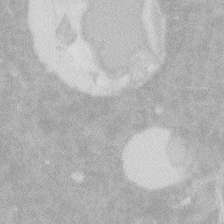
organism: Zebrafish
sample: Macrophage